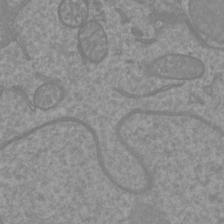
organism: Mouse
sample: Cortical neurons